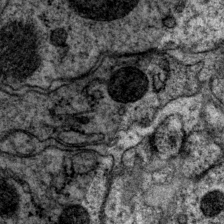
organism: P. pacificus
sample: Pharynx